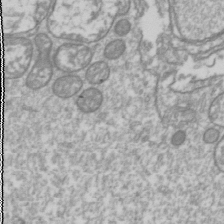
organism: Drosophila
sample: Cell division; meiosis; drosophila spermatocytes